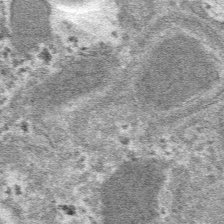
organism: Mouse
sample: Mouse hepatocytes